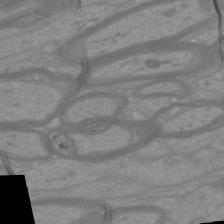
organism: Mouse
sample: Cortical neurons